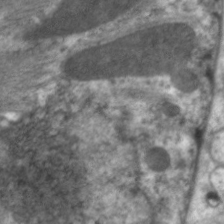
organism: C. elegans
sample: Pharynx